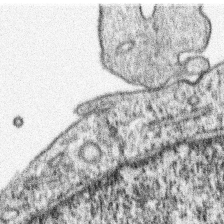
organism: Human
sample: HeLa cells